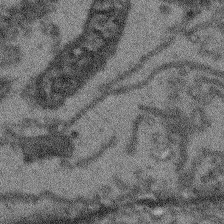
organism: Arabidopsis thaliana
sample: Root tip